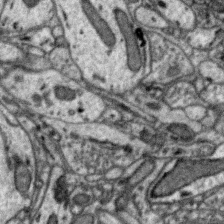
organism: Zebra finch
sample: Brain